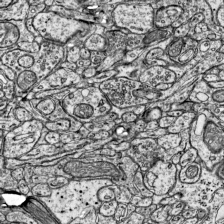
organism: Mouse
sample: Visual Cortex